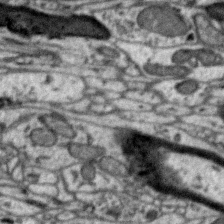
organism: Zebra finch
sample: Brain